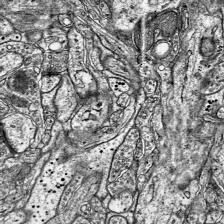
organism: Mouse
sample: Visual Cortex